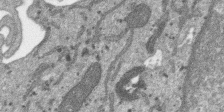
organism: Human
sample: Lung epithelial cells infected with SARS-CoV-2